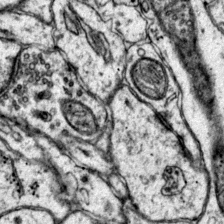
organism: Mouse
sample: Primary visual cortex